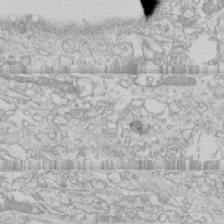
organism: Human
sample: CRL-1474